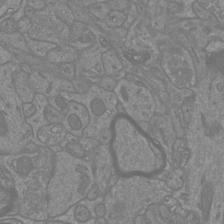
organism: Mouse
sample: Cortical neurons